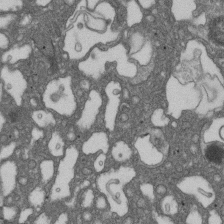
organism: Drosophila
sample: Nephrocyte